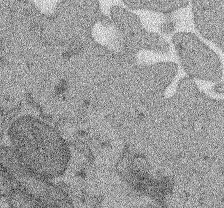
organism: Human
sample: HeLa cells